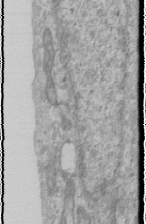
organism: Human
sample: Cilia; basal body in RPE cells